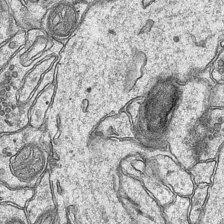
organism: Mouse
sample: CA1 Hippocampus